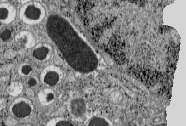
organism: C57BL Mouse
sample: Pancreatic islet